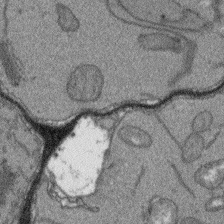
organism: Arabidopsis thaliana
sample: Root tip